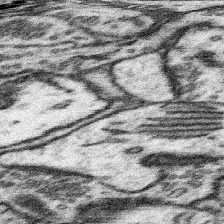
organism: Mouse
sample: Somatosensory cortex neuropil